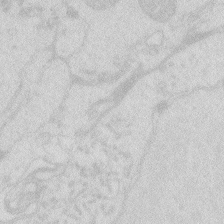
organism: Zebrafish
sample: Macrophage